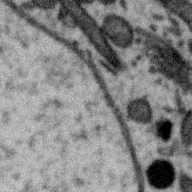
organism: Zebra finch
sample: Brain